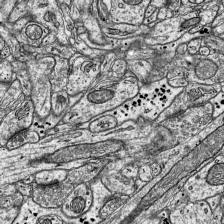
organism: Mouse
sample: Visual Cortex